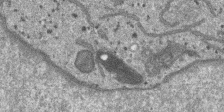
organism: Human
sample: Lung epithelial cells infected with SARS-CoV-2